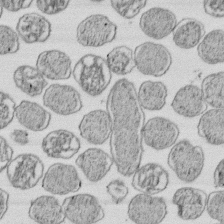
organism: E. coli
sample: Bacterial nucleoid